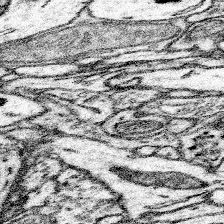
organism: Mouse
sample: Somatosensory cortex neuropil